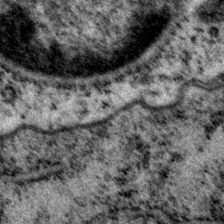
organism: P. pacificus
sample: Pharynx